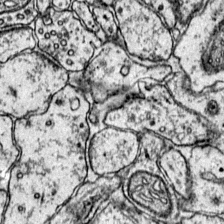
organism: Mouse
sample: Primary visual cortex